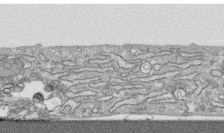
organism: Human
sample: CRL-1474